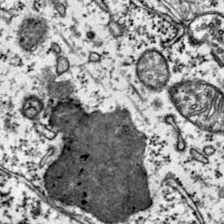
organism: Mouse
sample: Primary visual cortex